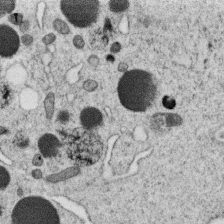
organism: C. elegans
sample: C. elegans oocyte; sperm cells